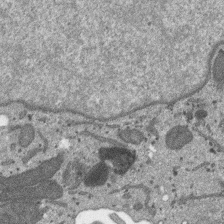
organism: Human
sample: Lung epithelial cells infected with SARS-CoV-2